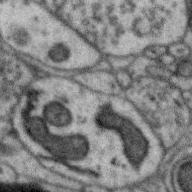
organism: Zebra finch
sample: Brain